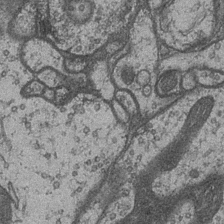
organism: Drosophila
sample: Optic medulla